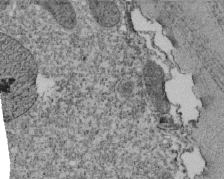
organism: Tetrahymena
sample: Cilia in tetrahymena